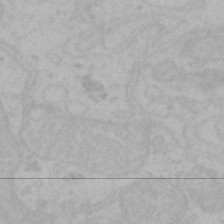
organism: Mouse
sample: Choroid plexus